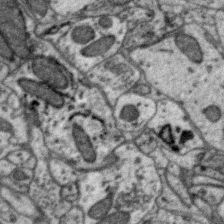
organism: Zebra finch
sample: Brain